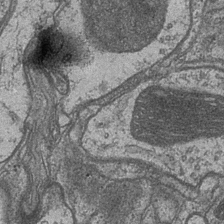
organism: Drosophila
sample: Optic medulla